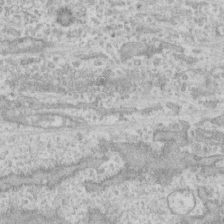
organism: Human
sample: CRL-1474